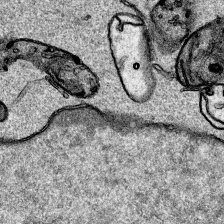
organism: Human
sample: Mitochondria in HCT116 cells